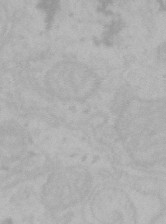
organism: Mouse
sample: Choroid plexus